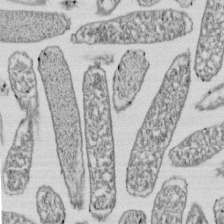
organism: E. coli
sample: Bacterial nucleoid